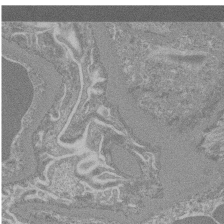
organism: Mouse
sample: Glomerulus